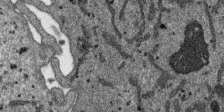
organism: Human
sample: Lung epithelial cells infected with SARS-CoV-2